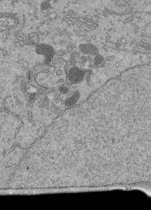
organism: Human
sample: Retinal organoid Rod and Cone cells